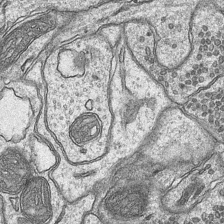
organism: Mouse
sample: CA1 Hippocampus